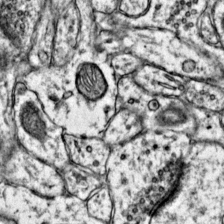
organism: Mouse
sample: Primary visual cortex